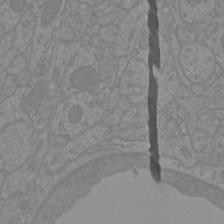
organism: Mouse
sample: Cortical neurons